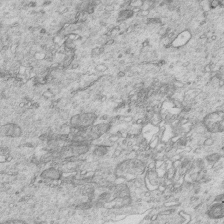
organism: Mouse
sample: Multiciliated cells